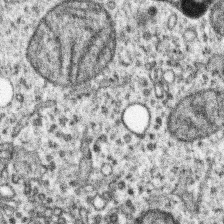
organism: Human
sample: HeLa cells